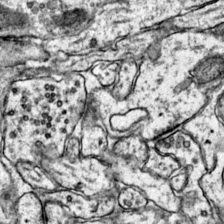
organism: Mouse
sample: Primary visual cortex